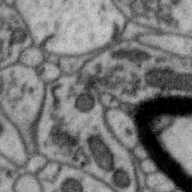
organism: Zebra finch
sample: Brain